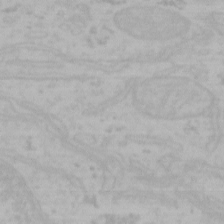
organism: Mouse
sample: Choroid plexus